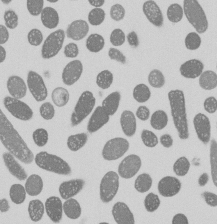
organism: E. coli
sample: Bacterial nucleoid